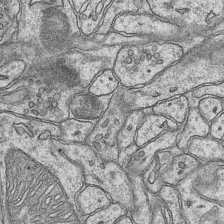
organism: Mouse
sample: CA1 Hippocampus